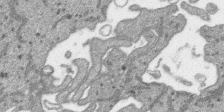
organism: Human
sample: Lung epithelial cells infected with SARS-CoV-2